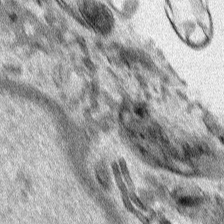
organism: Human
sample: Mitochondria in HCT116 cells